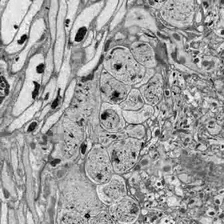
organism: Drosophila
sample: Optic lobe